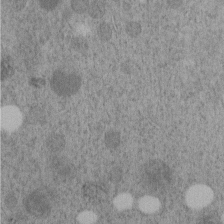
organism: C. elegans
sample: C. elegans embryo early stage